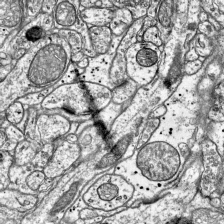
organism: Mouse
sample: Visual Cortex